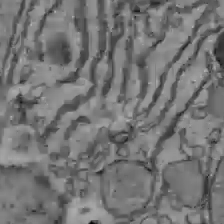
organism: C57BL Mouse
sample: Liver